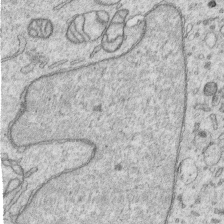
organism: Human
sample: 1205lu cells